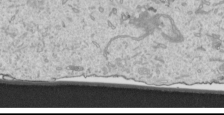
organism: Human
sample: Mitochondria in HCT116 cells